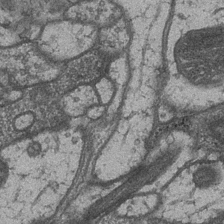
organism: Drosophila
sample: Optic medulla